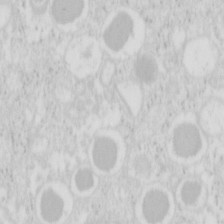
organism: Mouse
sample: Pancreas